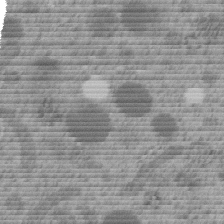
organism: C. elegans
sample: C. elegans embryo early stage